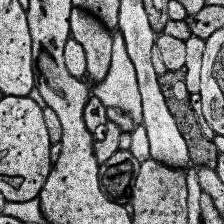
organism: Human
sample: Temporal Lobe